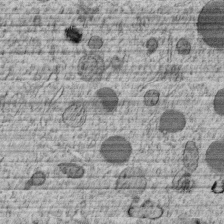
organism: C. elegans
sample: C. elegans embryo early stage